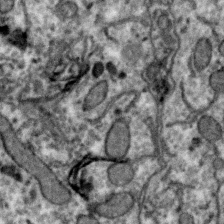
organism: Zebra finch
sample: Brain